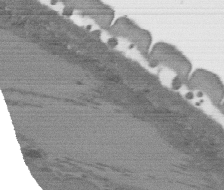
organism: C. elegans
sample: AFD neurons C. elegans